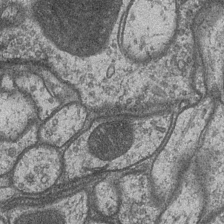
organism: Drosophila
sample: Optic medulla